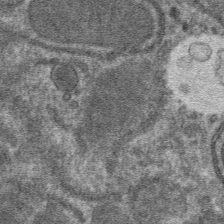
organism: Mouse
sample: Mouse hepatocytes